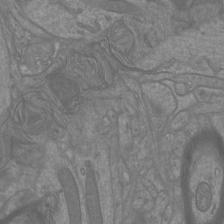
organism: Mouse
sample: Cortical neurons